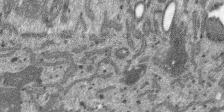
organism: Human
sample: Lung epithelial cells infected with SARS-CoV-2